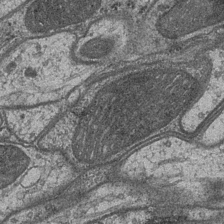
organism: Drosophila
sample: Optic medulla